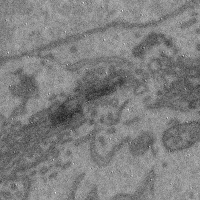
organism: Mouse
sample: Cerebral cortex